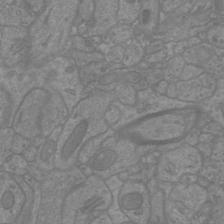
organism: Mouse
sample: Cortical neurons